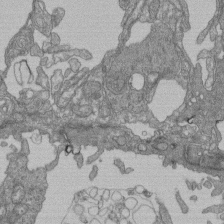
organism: Human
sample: Retinal organoid Rod and Cone cells